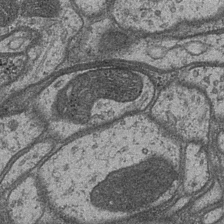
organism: Drosophila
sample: Optic medulla